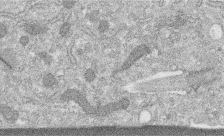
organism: Human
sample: Centriole in fibroblast cells